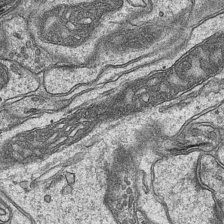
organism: Mouse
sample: CA1 Hippocampus